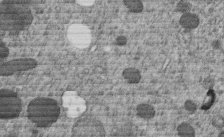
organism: C. elegans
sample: C. elegans embryo early stage